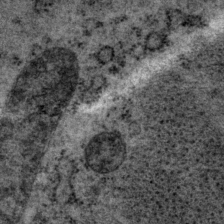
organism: P. pacificus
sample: Pharynx